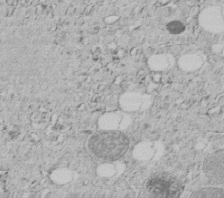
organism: C. elegans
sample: C. elegans embryo early stage